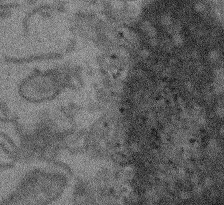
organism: Arabidopsis thaliana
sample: Root tip